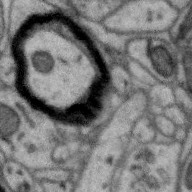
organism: Zebra finch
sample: Brain